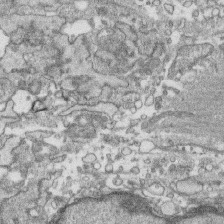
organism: Human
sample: CRL-1474